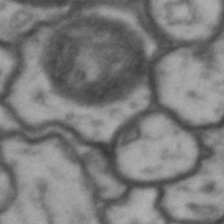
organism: Drosophila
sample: Brain